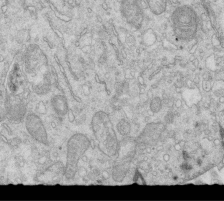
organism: Mouse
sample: Multiciliated cells